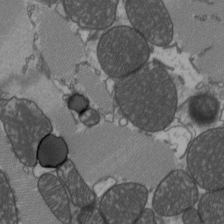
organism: C57BL Mouse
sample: Heart